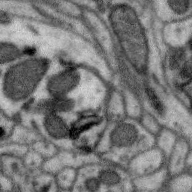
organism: Zebra finch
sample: Brain